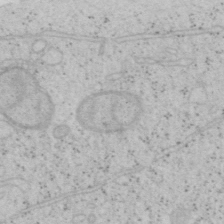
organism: Human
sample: HeLa cells